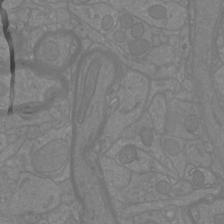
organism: Mouse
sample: Cortical neurons